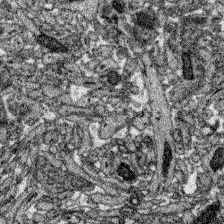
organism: Zebrafish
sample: Larval olfactory bulb